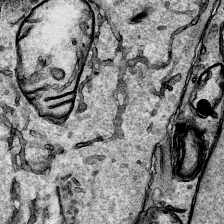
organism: Human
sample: Mitochondria in HCT116 cells